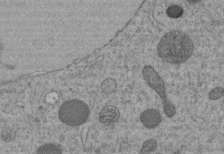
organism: C. elegans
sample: C. elegans embryo early stage